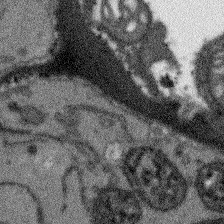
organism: Arabidopsis thaliana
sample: Root tip